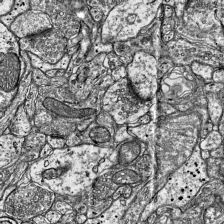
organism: Mouse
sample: Visual Cortex